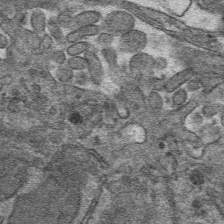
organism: Mouse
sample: Mouse hepatocytes